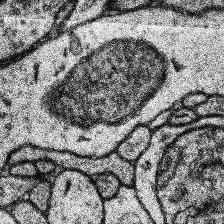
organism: Human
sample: Temporal Lobe